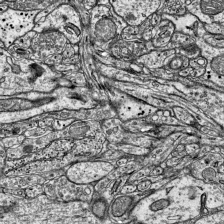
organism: Mouse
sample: Visual Cortex